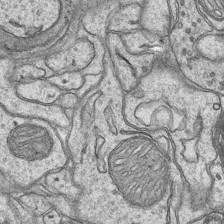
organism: Mouse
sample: CA1 Hippocampus